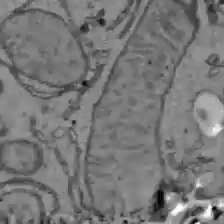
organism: C57BL Mouse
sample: Liver